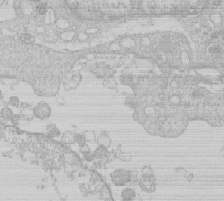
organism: Human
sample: Macrophage cells